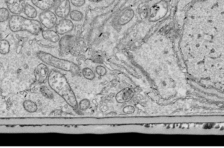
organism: Drosophila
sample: Cell division; meiosis; drosophila spermatocytes